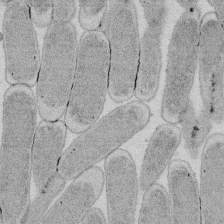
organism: E. coli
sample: Bacterial nucleoid